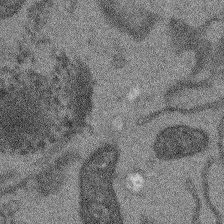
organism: Arabidopsis thaliana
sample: Root tip